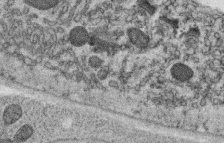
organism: C. elegans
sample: C. elegans oocyte; sperm cells